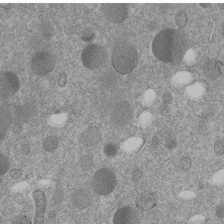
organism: C. elegans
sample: C. elegans embryo early stage